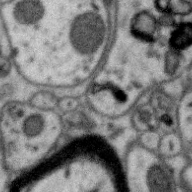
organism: Zebra finch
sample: Brain